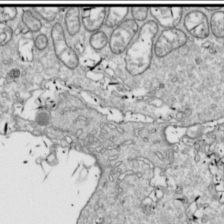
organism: Drosophila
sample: Cell division; meiosis; drosophila spermatocytes